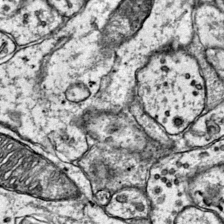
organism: Mouse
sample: Primary visual cortex